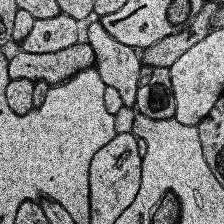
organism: Human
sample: Temporal Lobe